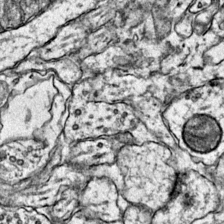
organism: Mouse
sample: Primary visual cortex